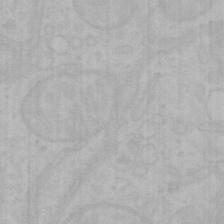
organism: Mouse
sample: Choroid plexus